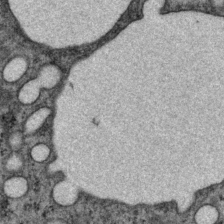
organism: P. pacificus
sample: Pharynx